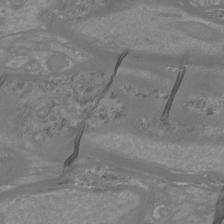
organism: Mouse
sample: Cortical neurons